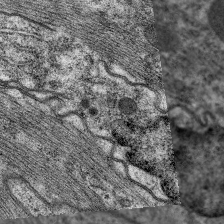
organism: C. elegans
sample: Pharynx